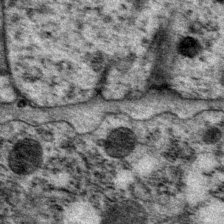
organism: P. pacificus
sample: Pharynx